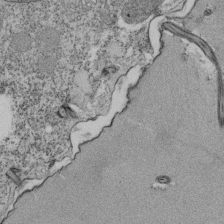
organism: Tetrahymena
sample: Cilia in tetrahymena